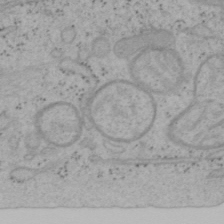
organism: Human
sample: HeLa cells